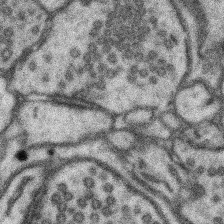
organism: Mouse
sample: Somatosensory cortex neuropil